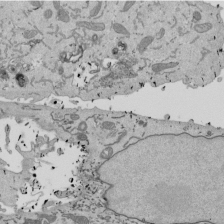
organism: Mouse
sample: ED-1 cell nuclei; centrioles